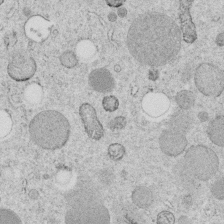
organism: C. elegans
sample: C. elegans embryo early stage